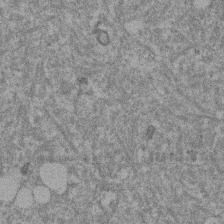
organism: Mouse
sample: Dividing mouse embryo 1 cell stage